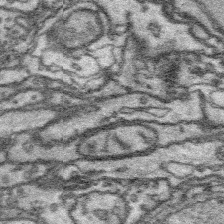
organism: Platynereis dumerilii